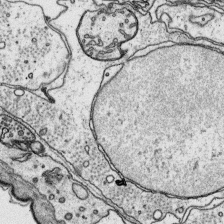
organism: Platynereis dumerilii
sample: Parapodia